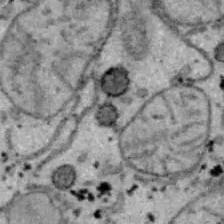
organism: Mouse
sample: Liver from an obese (ob/ob) mouse